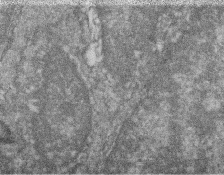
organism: Zebrafish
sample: Cilia; retinal pigment epithelium